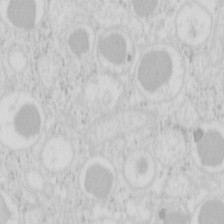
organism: Mouse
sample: Pancreas